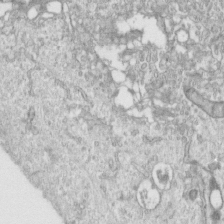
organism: Human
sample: Centriole in RPE cells